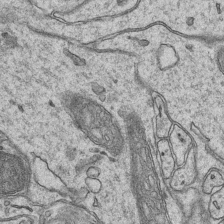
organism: Mouse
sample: CA1 Hippocampus